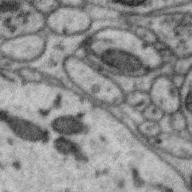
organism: Zebra finch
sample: Brain